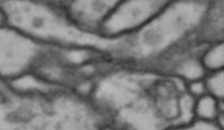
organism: Drosophila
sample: Brain